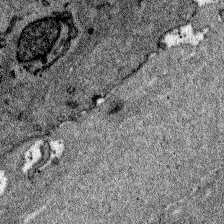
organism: Zebrafish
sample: Larval olfactory bulb